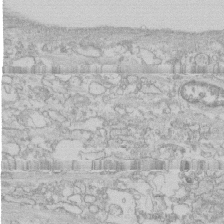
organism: Human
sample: CRL-1474